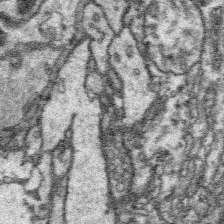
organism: Platynereis dumerilii